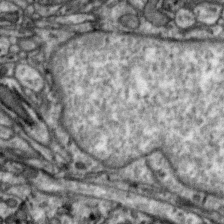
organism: Zebra finch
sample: Brain